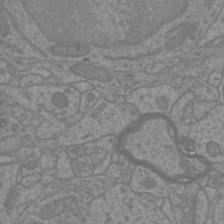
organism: Mouse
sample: Cortical neurons